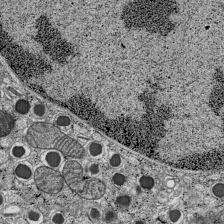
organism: C57BL Mouse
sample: Pancreatic islet